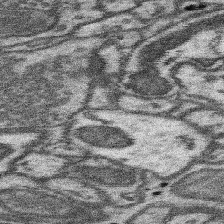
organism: Mouse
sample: Somatosensory cortex neuropil